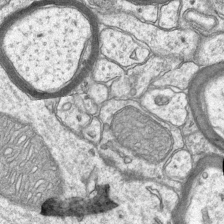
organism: Mouse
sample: CA1 Hippocampus